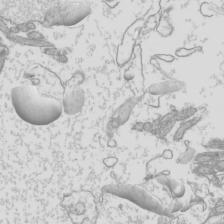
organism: Mouse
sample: Cilia; mouse epididymis